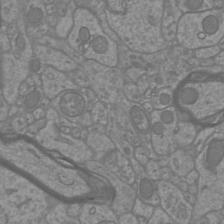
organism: Mouse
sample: Cortical neurons